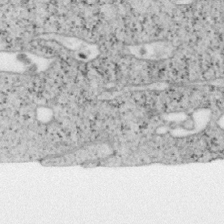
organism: Mouse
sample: OT-I killer T cells with ID8 ovarian cancer cells